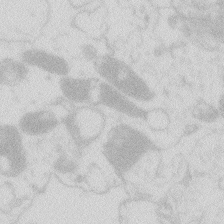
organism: Zebrafish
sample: Macrophage